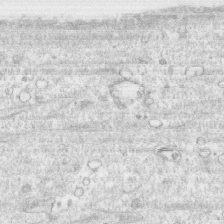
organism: Human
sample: CRL-1474